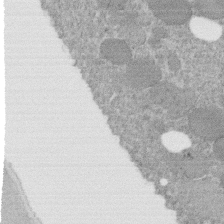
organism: C. elegans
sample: C. elegans embryo early stage